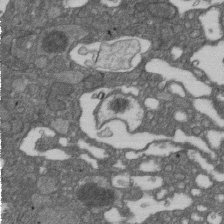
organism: Drosophila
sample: Nephrocyte